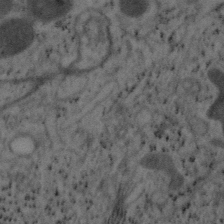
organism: Human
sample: HeLa cells